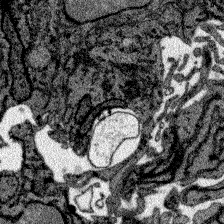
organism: Zebrafish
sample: Larval olfactory bulb